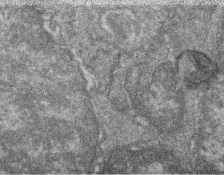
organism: Zebrafish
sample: Cilia; retinal pigment epithelium